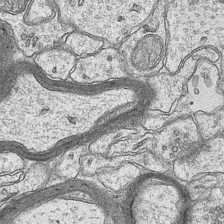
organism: Mouse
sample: CA1 Hippocampus